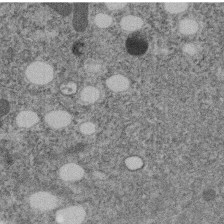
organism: C. elegans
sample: C. elegans embryo early stage